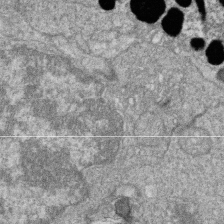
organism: Zebrafish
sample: Cilia; retinal pigment epithelium